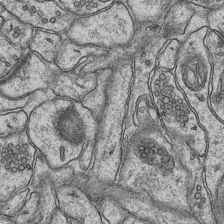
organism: Mouse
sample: CA1 Hippocampus